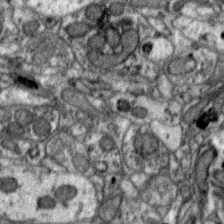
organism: Zebra finch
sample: Brain